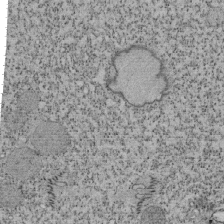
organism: Tetrahymena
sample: Cilia in tetrahymena